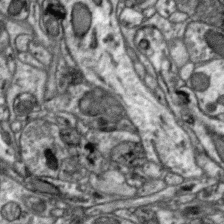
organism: Zebra finch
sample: Brain